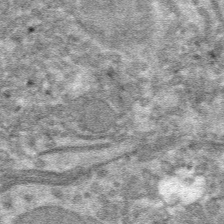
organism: Mouse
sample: Mouse hepatocytes